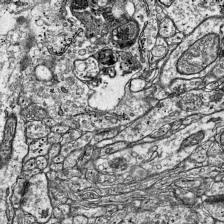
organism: Mouse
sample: Visual Cortex